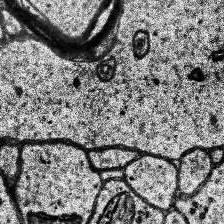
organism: Human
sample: Temporal Lobe